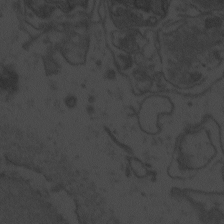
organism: Zebrafish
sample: Macrophage infected with Toxoplasma gondii